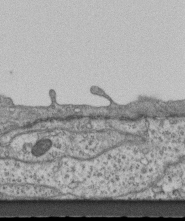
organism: Mouse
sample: Centriole in ependymal cells